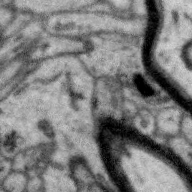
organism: Zebra finch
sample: Brain